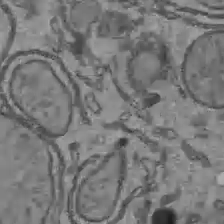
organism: C57BL Mouse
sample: Liver